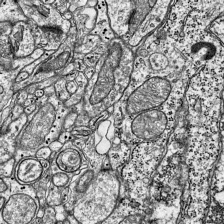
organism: Mouse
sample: Visual Cortex